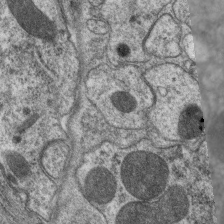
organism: C. elegans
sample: Pharynx